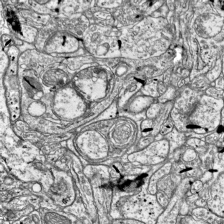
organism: Mouse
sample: Visual Cortex